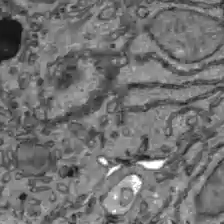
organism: C57BL Mouse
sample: Liver